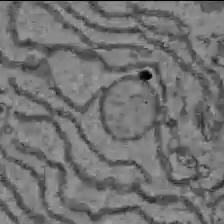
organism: C57BL Mouse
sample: Liver